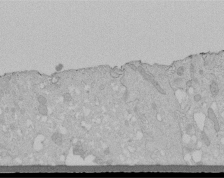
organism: Human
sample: Melanocyte Keratinocyte synapse skin construct